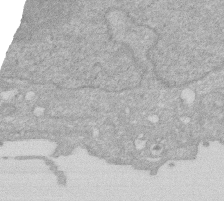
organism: Human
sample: HIV infected U937 cells